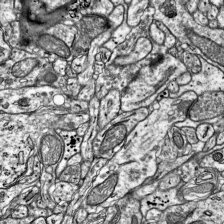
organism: Mouse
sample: Visual Cortex